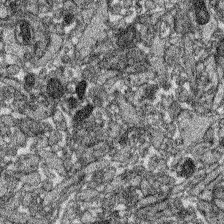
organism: Zebrafish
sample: Larval olfactory bulb